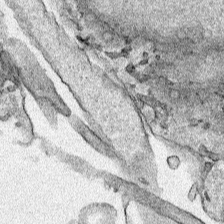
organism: Human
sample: Mitochondria in HCT116 cells